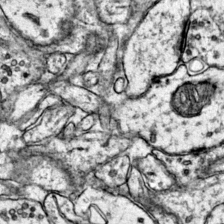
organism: Mouse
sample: Primary visual cortex